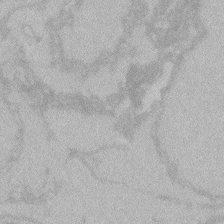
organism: Zebrafish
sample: Macrophage infected with Toxoplasma gondii